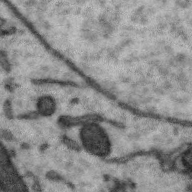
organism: Zebra finch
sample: Brain